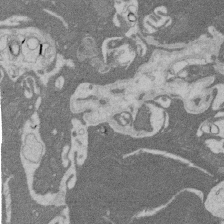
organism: Rat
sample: Salivary granule